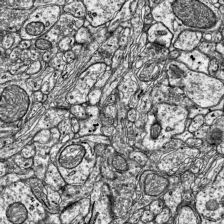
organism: Mouse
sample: Visual Cortex